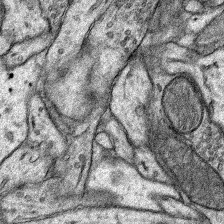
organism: Rat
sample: Hippocampus